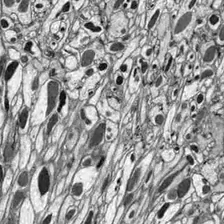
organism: Drosophila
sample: Optic lobe